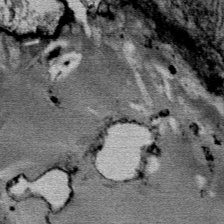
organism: Mouse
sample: Mouse Salivary gland